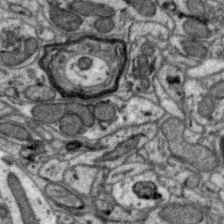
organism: Zebra finch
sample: Brain